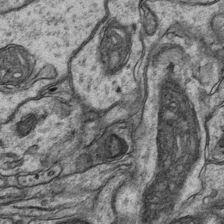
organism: Mouse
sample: CA1 Hippocampus